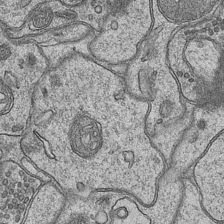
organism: Mouse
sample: CA1 Hippocampus